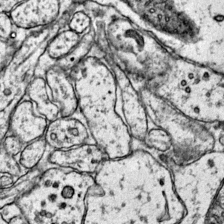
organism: Mouse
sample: Primary visual cortex